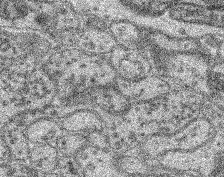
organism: Mouse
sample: Retina